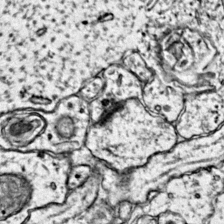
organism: Mouse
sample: Primary visual cortex